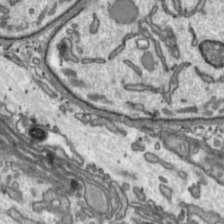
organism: Toxoplasma gondii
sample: Parasites in a vacuole inside a host cell